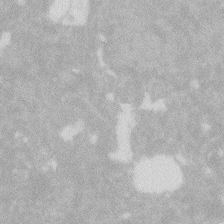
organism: Zebrafish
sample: Macrophage